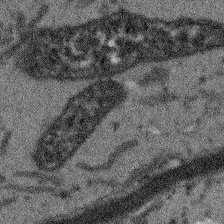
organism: Arabidopsis thaliana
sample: Root tip